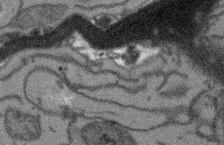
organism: Arabidopsis thaliana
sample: Root tip